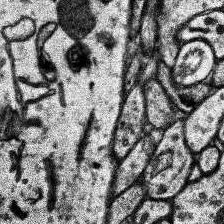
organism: Human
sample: Temporal Lobe